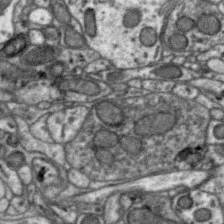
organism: Zebra finch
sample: Brain